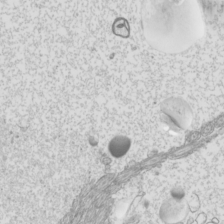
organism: Mouse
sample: Cilia; mouse epididymis